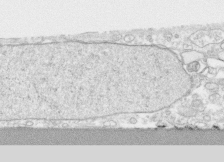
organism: Human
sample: CRL-1474